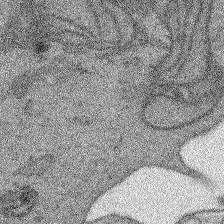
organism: Human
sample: HeLa cells